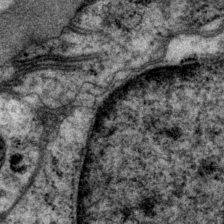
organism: P. pacificus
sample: Pharynx